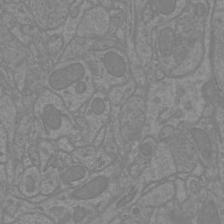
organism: Mouse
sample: Cortical neurons